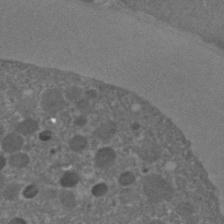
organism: C. elegans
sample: C. elegans embryo